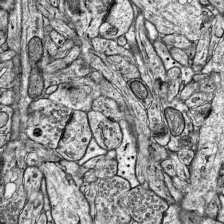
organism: Mouse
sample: Visual Cortex